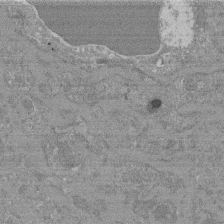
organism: Mouse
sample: Glomerulus